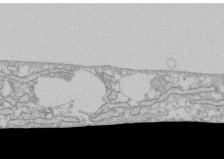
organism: Human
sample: CRL-1474